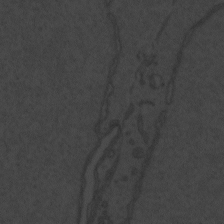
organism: Zebrafish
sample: Macrophage infected with Toxoplasma gondii